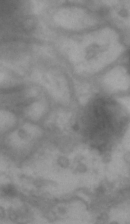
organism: Drosophila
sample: Brain